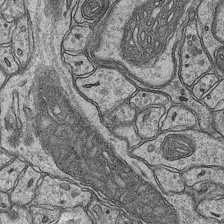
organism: Mouse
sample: CA1 Hippocampus